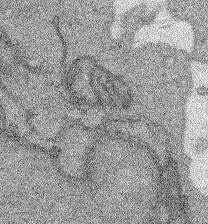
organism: Human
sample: HeLa cells